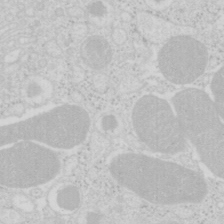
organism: Mouse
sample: Pancreas